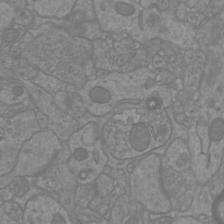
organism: Mouse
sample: Cortical neurons